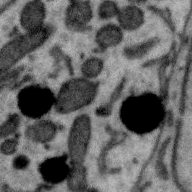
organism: Zebra finch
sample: Brain